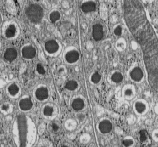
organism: C57BL Mouse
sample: Pancreatic islet